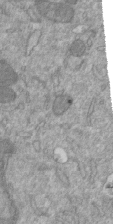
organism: Mouse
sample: ED-1 cell nuclei; centrioles